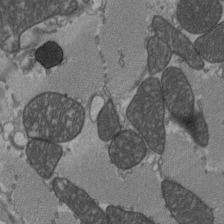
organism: C57BL Mouse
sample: Heart